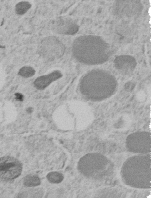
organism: C. elegans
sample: C. elegans embryo early stage